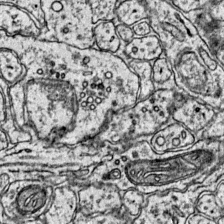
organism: Mouse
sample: Primary visual cortex